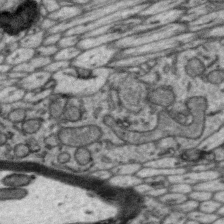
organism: Zebra finch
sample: Brain